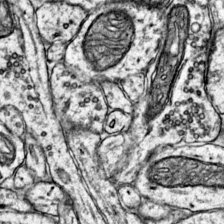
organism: Mouse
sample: Primary visual cortex